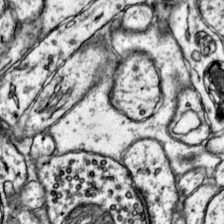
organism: Mouse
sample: Primary visual cortex